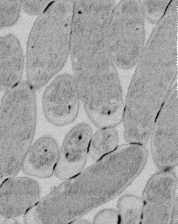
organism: E. coli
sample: Bacterial nucleoid